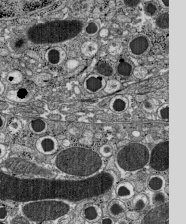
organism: C57BL Mouse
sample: Pancreatic islet